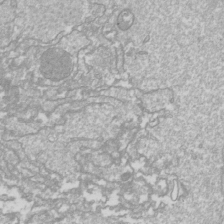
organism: Drosophila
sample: Cell division; meiosis; drosophila spermatocytes